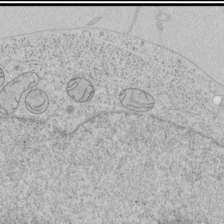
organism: Human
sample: Mitochondria in HCT116 cells